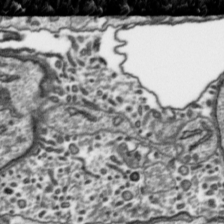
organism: Toxoplasma gondii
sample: Parasites in a vacuole inside a host cell